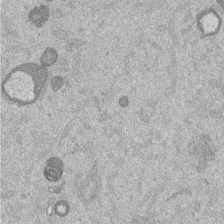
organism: Mouse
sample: Dividing mouse embryo 1 cell stage